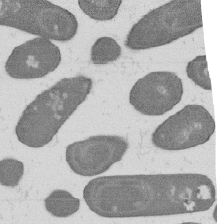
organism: B. subtilis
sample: Bacterial spore